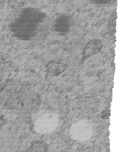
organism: C. elegans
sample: C. elegans embryo early stage